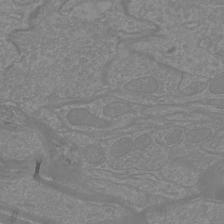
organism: Mouse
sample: Cortical neurons